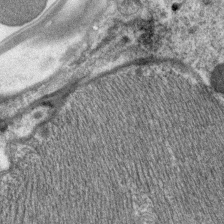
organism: C. elegans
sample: Pharynx